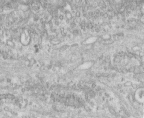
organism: Human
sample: Centriole in fibroblast cells